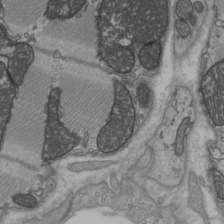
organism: C57BL Mouse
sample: Heart